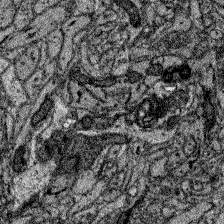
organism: Zebrafish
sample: Larval olfactory bulb